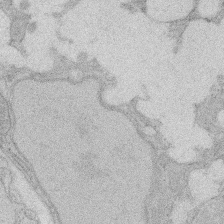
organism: Rat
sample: Salivary granule